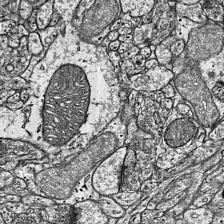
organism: Mouse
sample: Visual Cortex